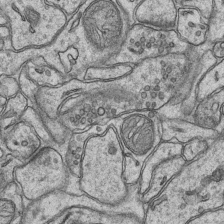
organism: Mouse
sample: CA1 Hippocampus